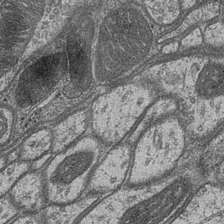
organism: Drosophila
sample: Optic medulla